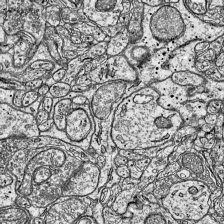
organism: Mouse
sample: Visual Cortex